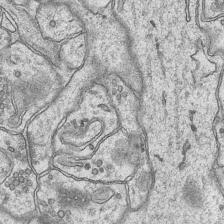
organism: Mouse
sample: CA1 Hippocampus